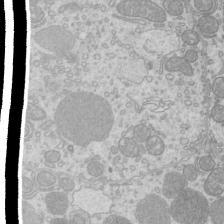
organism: Mouse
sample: Cilia; mouse epididymis